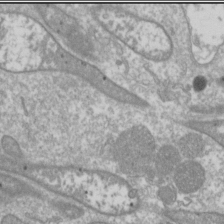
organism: Drosophila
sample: Cell division; meiosis; drosophila spermatocytes